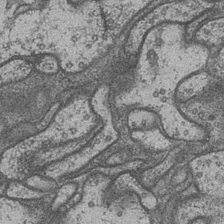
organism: Drosophila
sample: Optic medulla